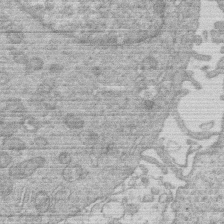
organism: Human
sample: Macrophage cells